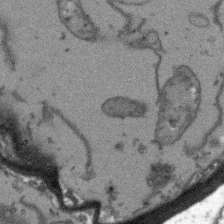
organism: Arabidopsis thaliana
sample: Root tip